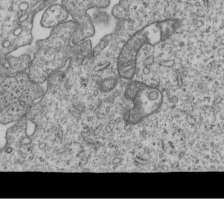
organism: Human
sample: MDA-MB-231 cells